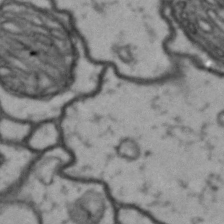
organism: Drosophila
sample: Brain